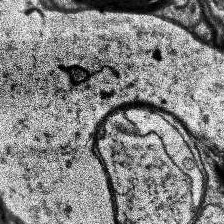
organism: Human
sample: Temporal Lobe